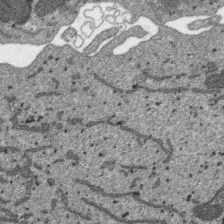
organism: Human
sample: Lung epithelial cells infected with SARS-CoV-2